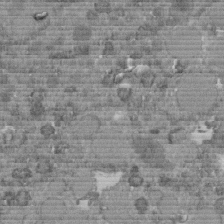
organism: C. elegans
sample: C. elegans embryo early stage